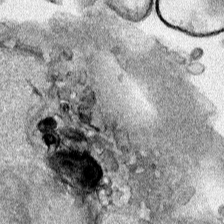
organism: Human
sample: Mitochondria in HCT116 cells